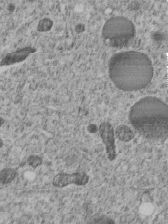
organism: C. elegans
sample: C. elegans embryo early stage